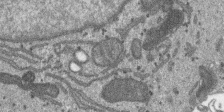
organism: Human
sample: Lung epithelial cells infected with SARS-CoV-2